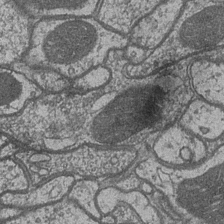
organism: Drosophila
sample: Optic medulla